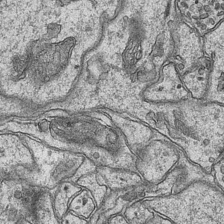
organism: Mouse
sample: CA1 Hippocampus